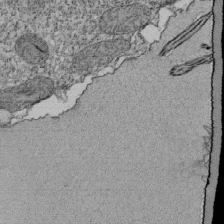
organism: Tetrahymena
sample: Cilia in tetrahymena